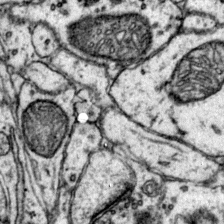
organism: Mouse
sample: Primary visual cortex